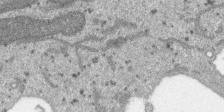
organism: Human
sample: Lung epithelial cells infected with SARS-CoV-2